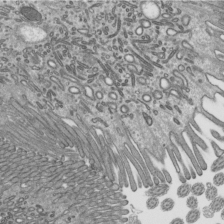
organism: Mouse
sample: Mouse epididymis efferent ductule cilia